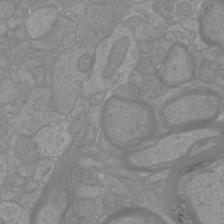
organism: Mouse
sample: Cortical neurons